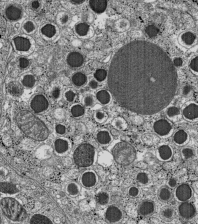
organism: C57BL Mouse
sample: Pancreatic islet